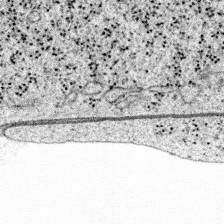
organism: Human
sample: HeLa cells